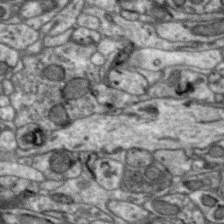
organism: Zebra finch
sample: Brain